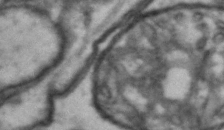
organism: Drosophila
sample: Brain